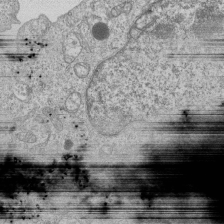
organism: Human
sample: MDA-MB-231 cells